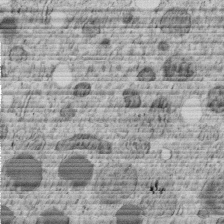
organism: C. elegans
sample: C. elegans embryo early stage